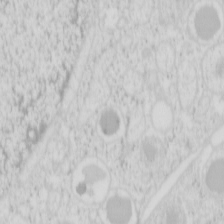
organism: Mouse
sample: Pancreas